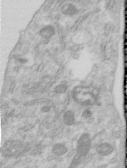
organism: Human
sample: Centriole in RPE cells